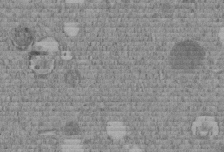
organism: C. elegans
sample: C. elegans embryo early stage